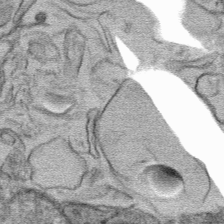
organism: Mouse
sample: Mouse hepatocytes